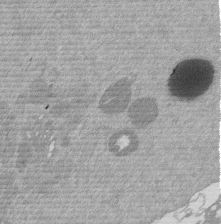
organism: Mouse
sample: Dividing mouse embryo 1 cell stage